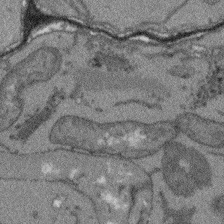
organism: Arabidopsis thaliana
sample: Root tip